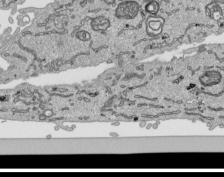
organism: Human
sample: Mitochondria in HCT116 cells